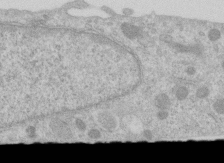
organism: Human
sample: Centriole in RPE cells